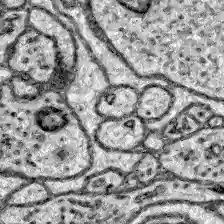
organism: Zebrafish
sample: Brain